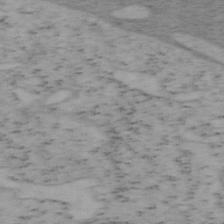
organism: Mouse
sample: OT-I killer T cells with ID8 ovarian cancer cells